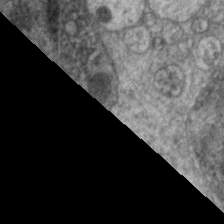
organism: C. elegans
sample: Pharynx